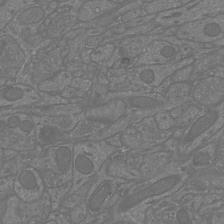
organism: Mouse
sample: Cortical neurons